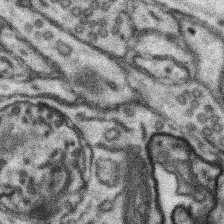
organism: Mouse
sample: Somatosensory cortex neuropil